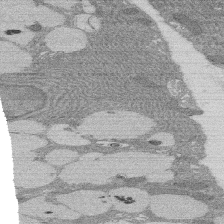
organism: Rat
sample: Salivary granule